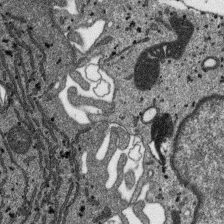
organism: Human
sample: Lung epithelial cells infected with SARS-CoV-2